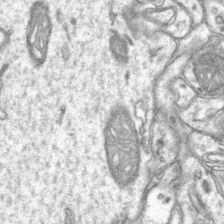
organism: Mouse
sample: CA1 Hippocampus